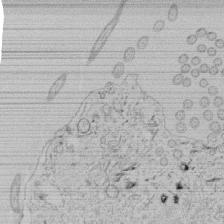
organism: Tetrahymena